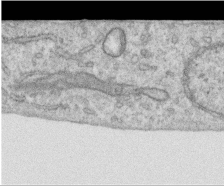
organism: Human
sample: Centriole in RPE cells